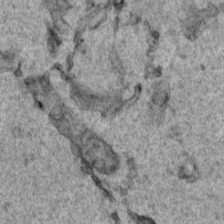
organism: Human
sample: Mitochondria in HCT116 cells